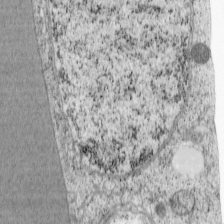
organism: African green monkey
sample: COS-7 cells